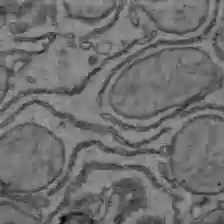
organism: C57BL Mouse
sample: Liver